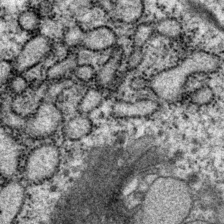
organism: P. pacificus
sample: Pharynx